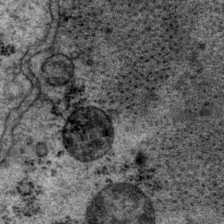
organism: P. pacificus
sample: Pharynx